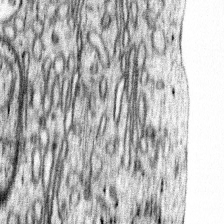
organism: Human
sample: HeLa cells